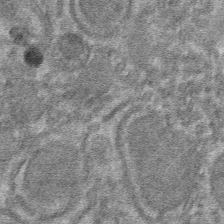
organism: Mouse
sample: Mouse hepatocytes